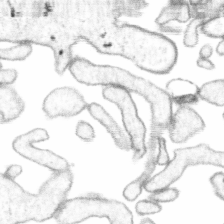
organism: Human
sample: HeLa cells